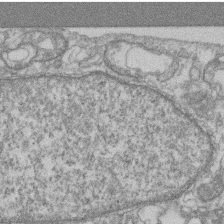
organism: Mouse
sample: T cell stromal cell synapse